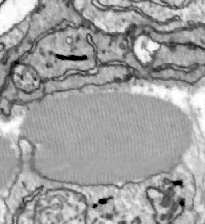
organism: Zebrafish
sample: Actinotrichia fibers